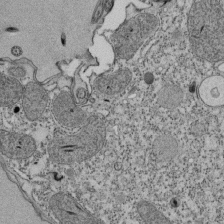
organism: Tetrahymena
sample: Cilia in tetrahymena